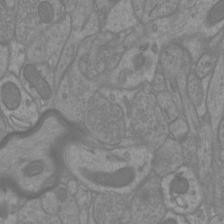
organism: Mouse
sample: Cortical neurons